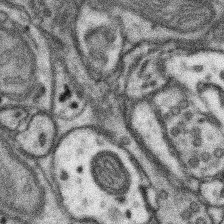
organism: Mouse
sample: Somatosensory cortex neuropil